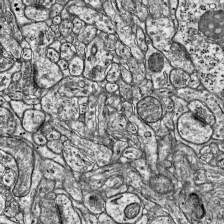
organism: Mouse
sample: Visual Cortex